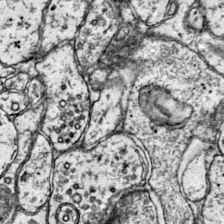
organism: Mouse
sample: Primary visual cortex